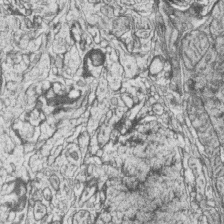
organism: Zebrafish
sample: synaptic ribbons in rod cells and cone cells